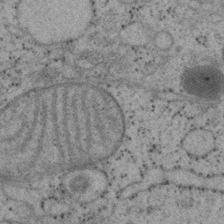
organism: Human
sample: HeLa cells